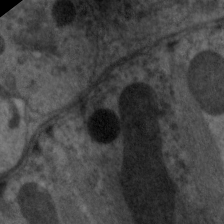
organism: C. elegans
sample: Pharynx